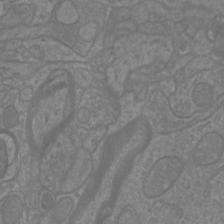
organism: Mouse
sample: Cortical neurons